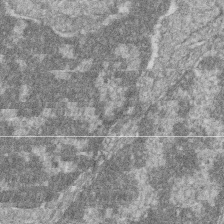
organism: Zebrafish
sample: Cilia; retinal pigment epithelium